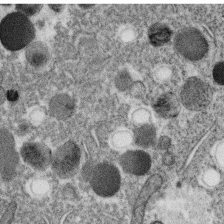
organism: C. elegans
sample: C. elegans oocyte; sperm cells